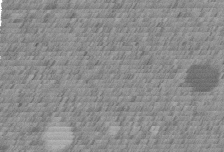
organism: C. elegans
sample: C. elegans embryo early stage